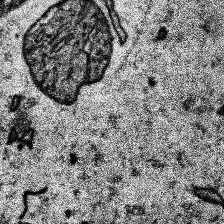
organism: Human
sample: Temporal Lobe